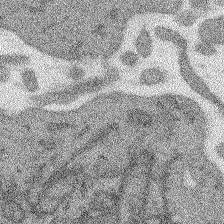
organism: Human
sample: HeLa cells